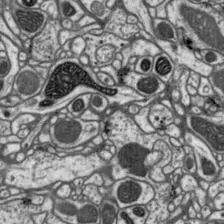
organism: Drosophila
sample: Protocerebral bridge